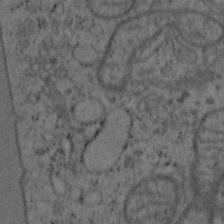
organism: Human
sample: HeLa cells